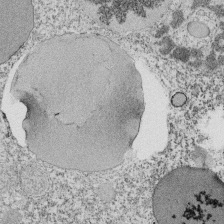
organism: Tetrahymena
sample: Cilia in tetrahymena